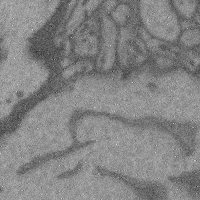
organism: Mouse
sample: Cerebral cortex